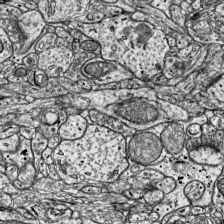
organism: Mouse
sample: Visual Cortex